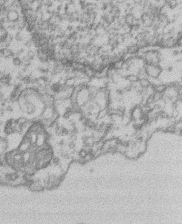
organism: Mouse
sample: T cell stromal cell synapse